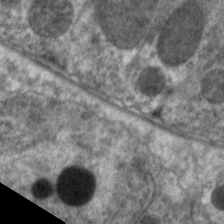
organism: C. elegans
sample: Pharynx